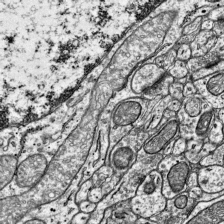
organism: Mouse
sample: Visual Cortex